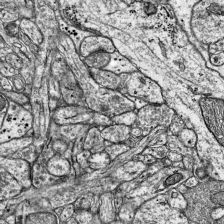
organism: Mouse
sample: Visual Cortex